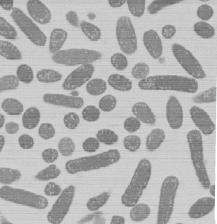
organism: E. coli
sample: Bacterial nucleoid